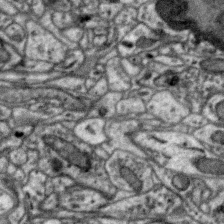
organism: Zebra finch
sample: Brain